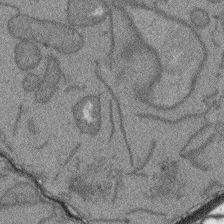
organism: Arabidopsis thaliana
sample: Root tip